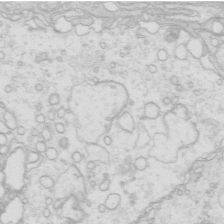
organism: Mouse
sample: Multiciliated cells